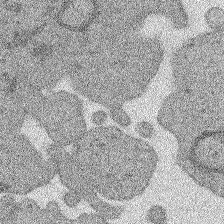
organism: Human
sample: HeLa cells